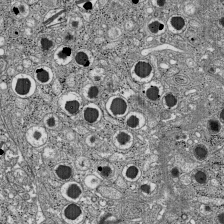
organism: C57BL Mouse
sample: Pancreatic islet